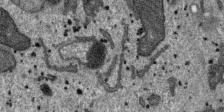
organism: Human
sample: Lung epithelial cells, uninfected (mock) control